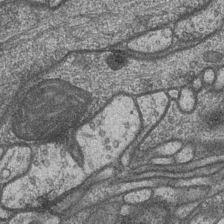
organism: Drosophila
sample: Optic medulla